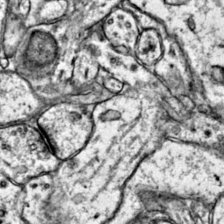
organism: Mouse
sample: Primary visual cortex